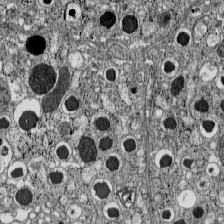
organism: C57BL Mouse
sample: Pancreatic islet